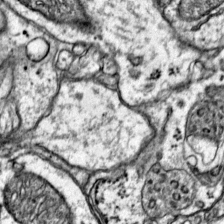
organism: Mouse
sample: Primary visual cortex